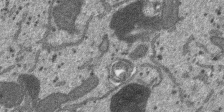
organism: Human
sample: Lung epithelial cells infected with SARS-CoV-2